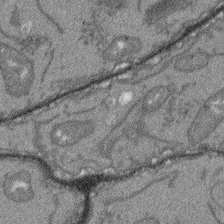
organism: Arabidopsis thaliana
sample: Root tip